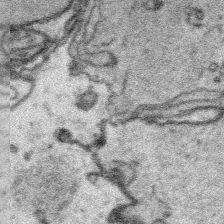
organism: Platynereis dumerilii